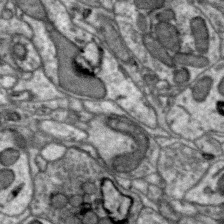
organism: Zebra finch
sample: Brain